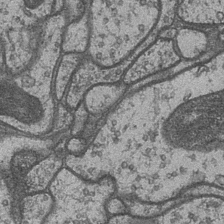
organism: Drosophila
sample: Optic medulla